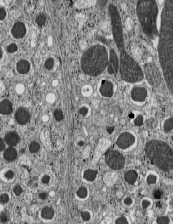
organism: C57BL Mouse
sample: Pancreatic islet